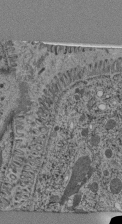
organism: C. elegans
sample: C. elegans pharynx